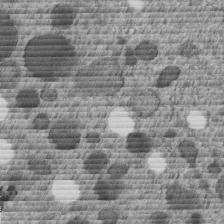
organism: C. elegans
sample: C. elegans embryo early stage